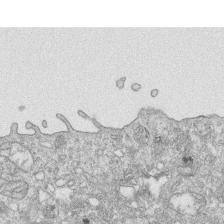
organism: Human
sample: HeLa cell HIV synapse